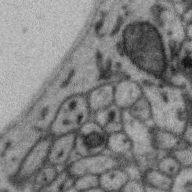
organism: Zebra finch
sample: Brain